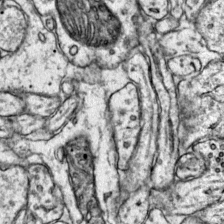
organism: Mouse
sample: Primary visual cortex